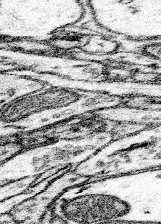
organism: Mouse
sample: Somatosensory cortex neuropil